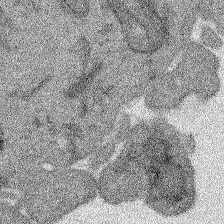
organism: Human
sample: HeLa cells